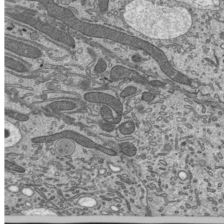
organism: Mouse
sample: Mouse epididymis efferent ductule cilia